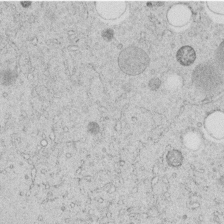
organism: C. elegans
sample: C. elegans embryo early stage